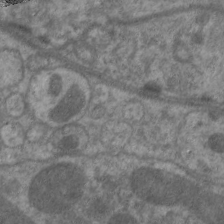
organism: C. elegans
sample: Pharynx